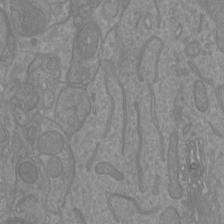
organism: Mouse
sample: Cortical neurons